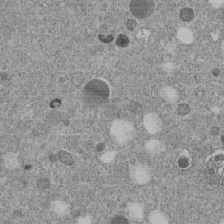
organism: C. elegans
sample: C. elegans embryo early stage